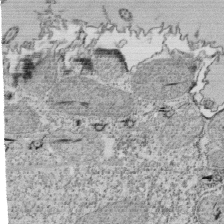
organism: Tetrahymena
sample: Cilia in tetrahymena